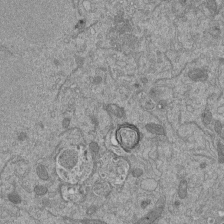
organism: Mouse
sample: ED-1 cell nuclei; centrioles